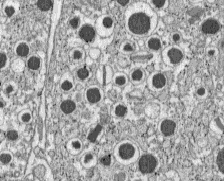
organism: C57BL Mouse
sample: Pancreatic islet